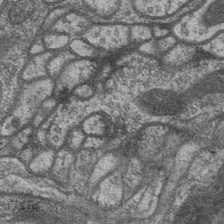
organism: Drosophila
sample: Optic medulla